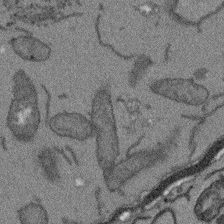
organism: Arabidopsis thaliana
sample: Root tip